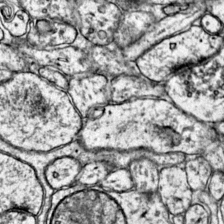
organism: Mouse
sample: Primary visual cortex